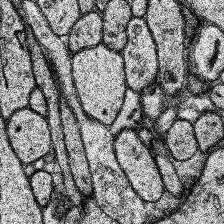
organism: Human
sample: Temporal Lobe